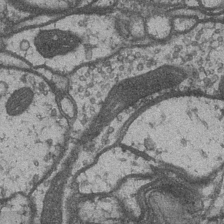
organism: Drosophila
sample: Optic medulla